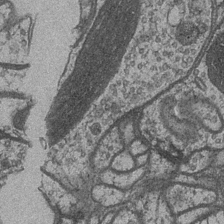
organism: Drosophila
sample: Optic medulla